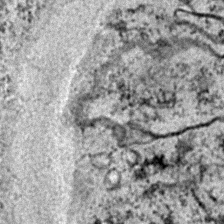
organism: C. elegans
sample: C. elegans embryo